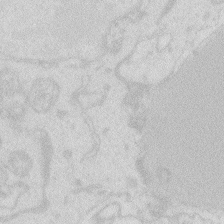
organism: Zebrafish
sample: Macrophage